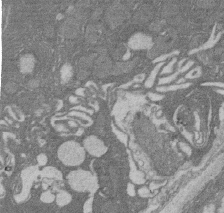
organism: Rat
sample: Salivary granule